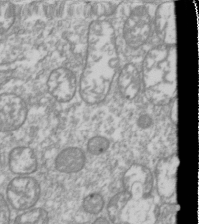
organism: Drosophila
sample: Cell division; meiosis; drosophila spermatocytes